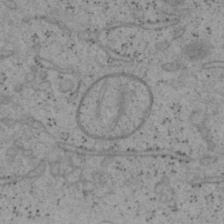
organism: Human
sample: HeLa cells